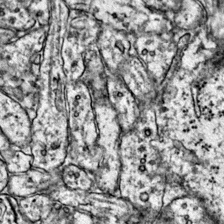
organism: Mouse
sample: Primary visual cortex